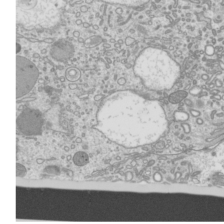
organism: Mouse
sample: Cilia; mouse epididymis